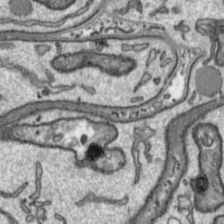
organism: Toxoplasma gondii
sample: Parasites in a vacuole inside a host cell